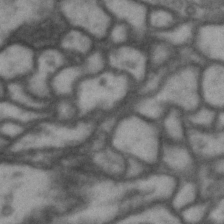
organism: Drosophila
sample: Brain